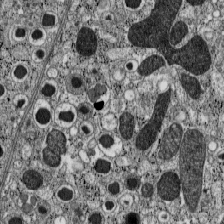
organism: C57BL Mouse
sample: Pancreatic islet